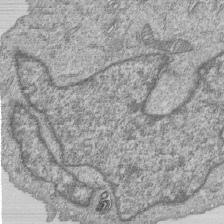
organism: Human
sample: MDA-MB-231 cells